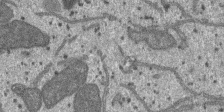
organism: Human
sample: Lung epithelial cells infected with SARS-CoV-2